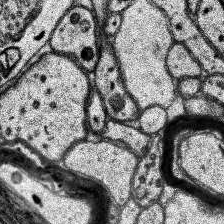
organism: Human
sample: Temporal Lobe